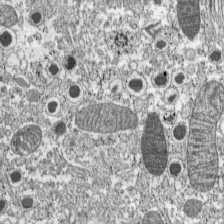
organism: C57BL Mouse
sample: Pancreatic islet